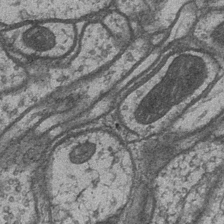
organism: Drosophila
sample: Optic medulla